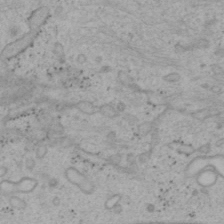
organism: Human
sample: HeLa cells